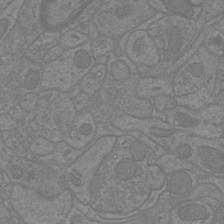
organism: Mouse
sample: Cortical neurons